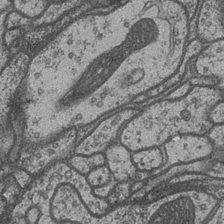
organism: Drosophila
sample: Optic medulla